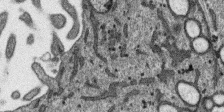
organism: Human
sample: Lung epithelial cells infected with SARS-CoV-2